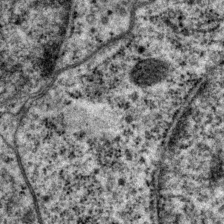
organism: P. pacificus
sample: Pharynx